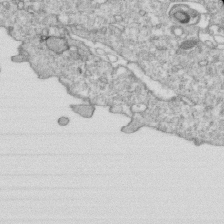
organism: Mouse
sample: Activated OT-1 CD8+ T cells